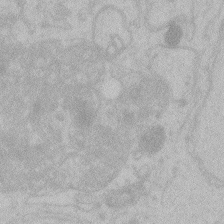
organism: Zebrafish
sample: Macrophage infected with Toxoplasma gondii